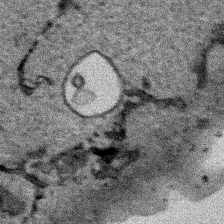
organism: Human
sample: Mitochondria in HCT116 cells